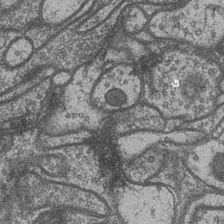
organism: Drosophila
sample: Optic medulla